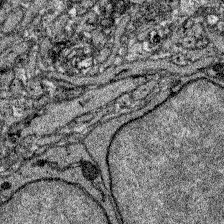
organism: Zebrafish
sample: Larval olfactory bulb